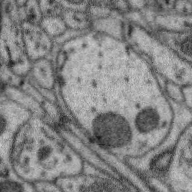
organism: Zebra finch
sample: Brain